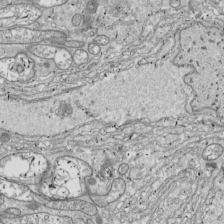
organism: Drosophila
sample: Cell division; meiosis; drosophila spermatocytes